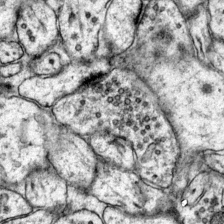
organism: Mouse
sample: Primary visual cortex